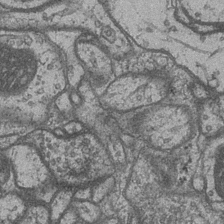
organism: Drosophila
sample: Optic medulla